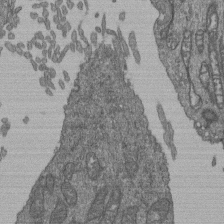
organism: Human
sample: Retinal organoid Rod and Cone cells